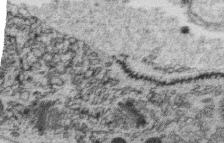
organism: C. elegans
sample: C. elegans oocyte; sperm cells